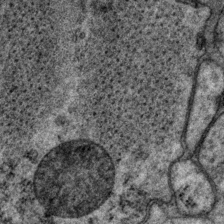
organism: P. pacificus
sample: Pharynx